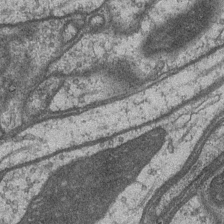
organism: Drosophila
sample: Optic medulla